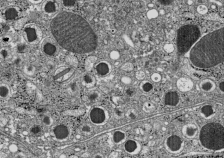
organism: C57BL Mouse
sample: Pancreatic islet